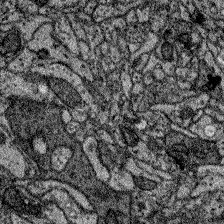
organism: Zebrafish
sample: Larval olfactory bulb